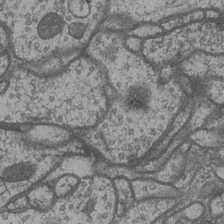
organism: Drosophila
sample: Optic medulla